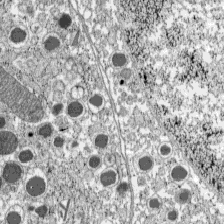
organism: C57BL Mouse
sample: Pancreatic islet